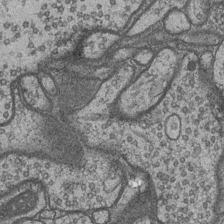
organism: Drosophila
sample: Optic medulla